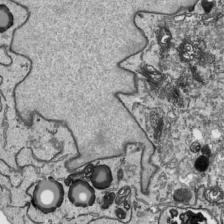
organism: Human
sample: Mitochondria in HCT116 cells